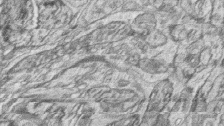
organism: Zebrafish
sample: synaptic ribbons in rod cells and cone cells